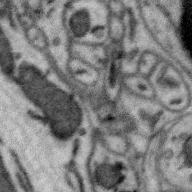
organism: Zebra finch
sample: Brain